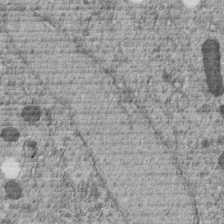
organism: C. elegans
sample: C. elegans embryo early stage